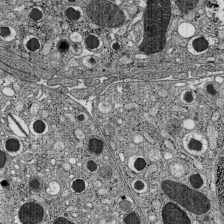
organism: C57BL Mouse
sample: Pancreatic islet